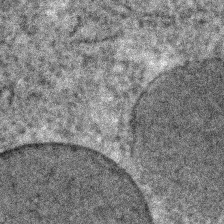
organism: C. elegans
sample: C. elegans embryo